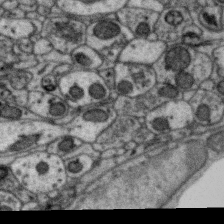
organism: Zebra finch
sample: Brain